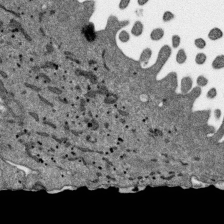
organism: Human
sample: Lung epithelial cells, uninfected (mock) control